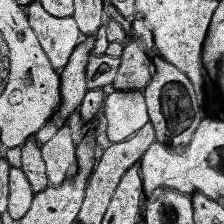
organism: Human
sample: Temporal Lobe